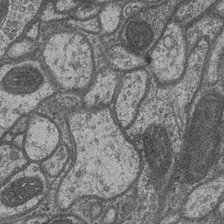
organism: Drosophila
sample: Optic medulla